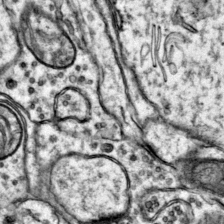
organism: Mouse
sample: Primary visual cortex